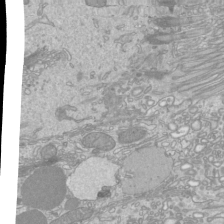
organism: Mouse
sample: Cilia; mouse epididymis